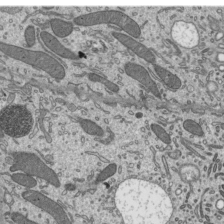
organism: Mouse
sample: Mouse epididymis efferent ductule cilia